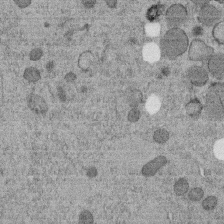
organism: C. elegans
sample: C. elegans embryo early stage